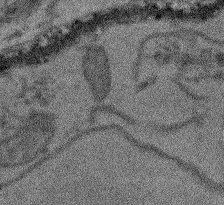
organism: Arabidopsis thaliana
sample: Root tip